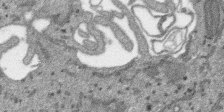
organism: Human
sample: Lung epithelial cells infected with SARS-CoV-2